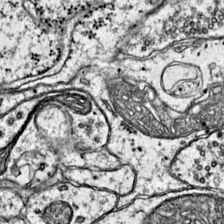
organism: Mouse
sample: Primary visual cortex